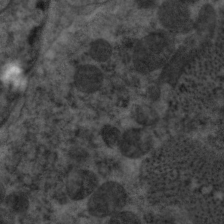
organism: C. elegans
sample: Pharynx